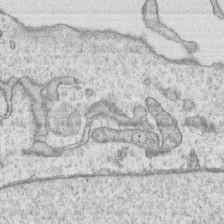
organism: Human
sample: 1205lu cells